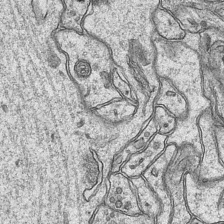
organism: Mouse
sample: CA1 Hippocampus